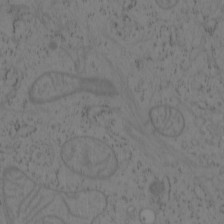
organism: Human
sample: HeLa cells